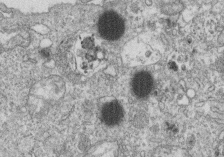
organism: Human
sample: HeLa cell HIV synapse